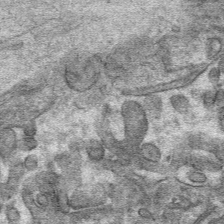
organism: Mouse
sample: Mouse hepatocytes